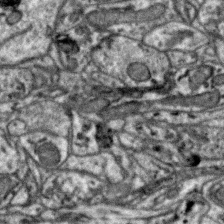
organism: Zebra finch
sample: Brain